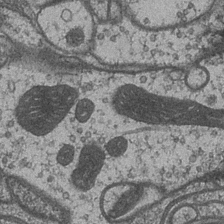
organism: Drosophila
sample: Optic medulla